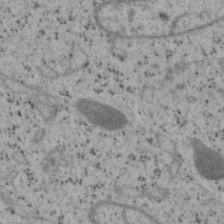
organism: Human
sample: HeLa cells